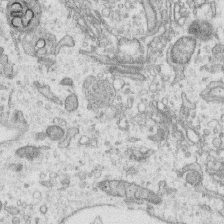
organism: Human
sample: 1205lu cells